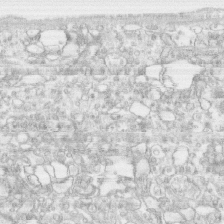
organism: Human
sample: CRL-1474